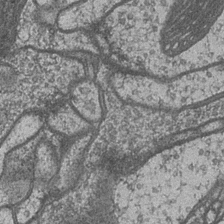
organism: Drosophila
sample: Optic medulla